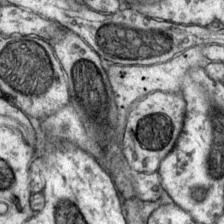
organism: Mouse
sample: Primary visual cortex